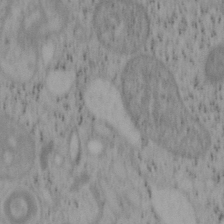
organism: Mouse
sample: OT-I killer T cells with ID8 ovarian cancer cells